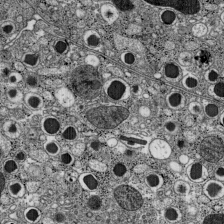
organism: C57BL Mouse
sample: Pancreatic islet